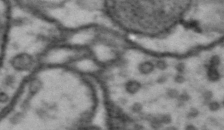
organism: Drosophila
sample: Brain